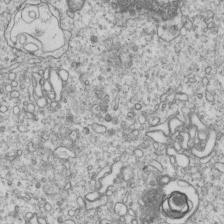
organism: Human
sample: MDA-MB-231 cells